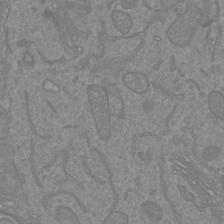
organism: Mouse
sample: Cortical neurons